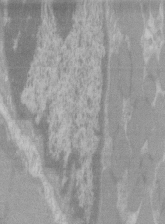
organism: C57BL Mouse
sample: Tibialis anterior muscle cell